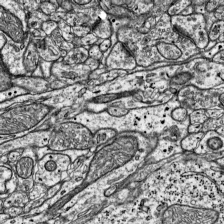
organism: Mouse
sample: Visual Cortex